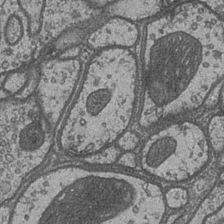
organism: Drosophila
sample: Optic medulla